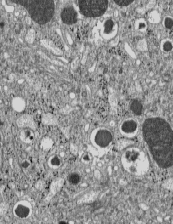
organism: C57BL Mouse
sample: Pancreatic islet